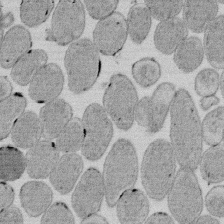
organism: E. coli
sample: Bacterial nucleoid